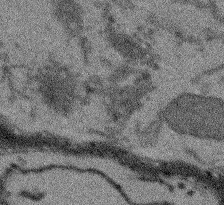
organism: Arabidopsis thaliana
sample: Root tip